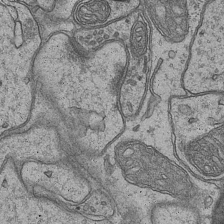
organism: Mouse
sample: CA1 Hippocampus